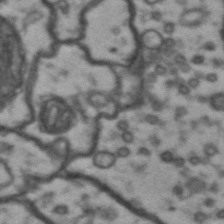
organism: Drosophila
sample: Brain